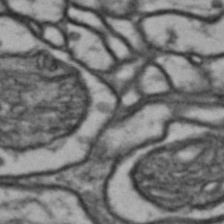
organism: Drosophila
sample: Brain